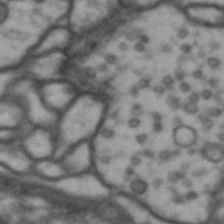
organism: Drosophila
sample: Brain